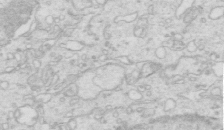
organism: Mouse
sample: Multiciliated cells